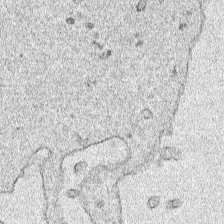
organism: Human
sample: Mitochondria in HCT116 cells